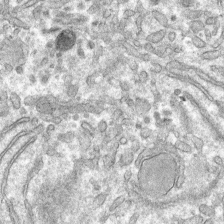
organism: Mouse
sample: Mouse hepatocytes